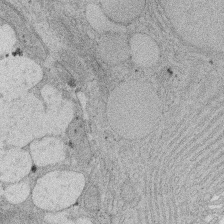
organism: Rat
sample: Salivary granule